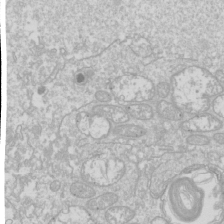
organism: Drosophila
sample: Cell division; meiosis; drosophila spermatocytes